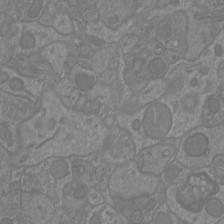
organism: Mouse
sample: Cortical neurons